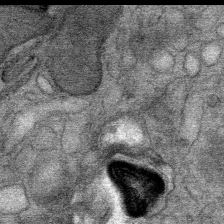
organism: Mouse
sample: Mouse Salivary gland